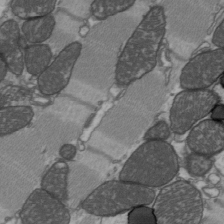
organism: C57BL Mouse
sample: Heart